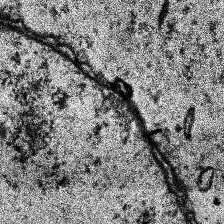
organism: Human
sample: Temporal Lobe